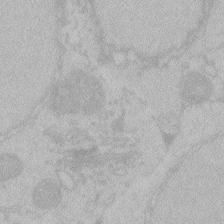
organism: Zebrafish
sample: Macrophage infected with Toxoplasma gondii